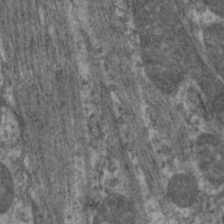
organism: C. elegans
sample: Pharynx